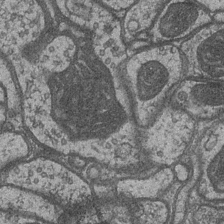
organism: Drosophila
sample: Optic medulla